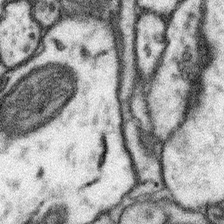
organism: Mouse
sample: Somatosensory cortex neuropil